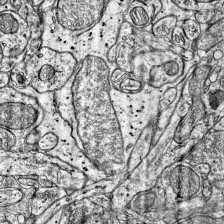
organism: Mouse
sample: Visual Cortex